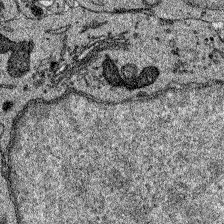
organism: Zebrafish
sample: Larval olfactory bulb